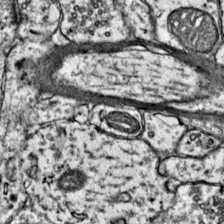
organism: Mouse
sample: Primary visual cortex